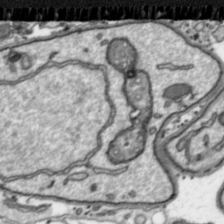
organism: Toxoplasma gondii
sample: Parasites in a vacuole inside a host cell